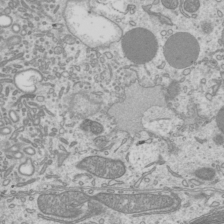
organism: Mouse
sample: Cilia; mouse epididymis